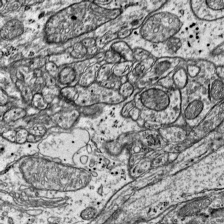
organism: Mouse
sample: Visual Cortex